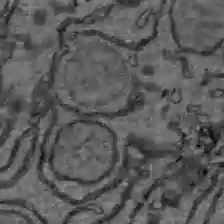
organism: C57BL Mouse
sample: Liver